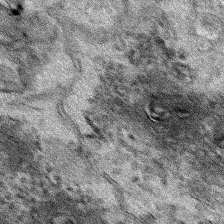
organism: Human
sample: Mitochondria in HCT116 cells